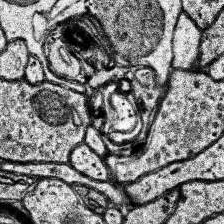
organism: Human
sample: Temporal Lobe